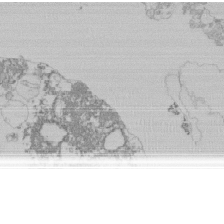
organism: Mouse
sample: Activated Pmel transgenic CD8+ T Cells